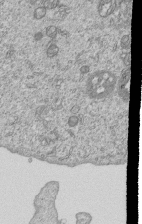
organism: Human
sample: MDA-MB-231 cells